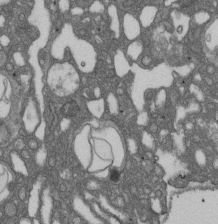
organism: Drosophila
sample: Nephrocyte